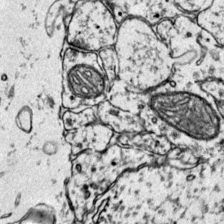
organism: Mouse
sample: Primary visual cortex